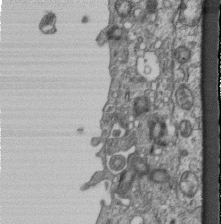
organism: Mouse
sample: Centriole in ependymal cells